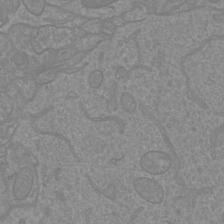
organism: Mouse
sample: Cortical neurons